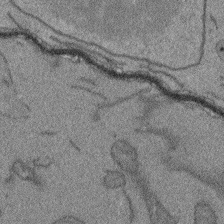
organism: Arabidopsis thaliana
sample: Root tip